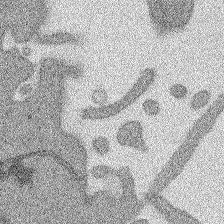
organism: Human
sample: HeLa cells